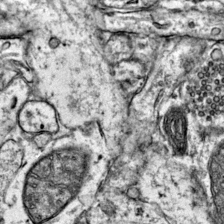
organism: Mouse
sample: Primary visual cortex